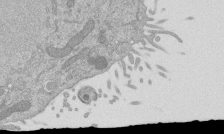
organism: Mouse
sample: ED-1 cell nuclei; centrioles